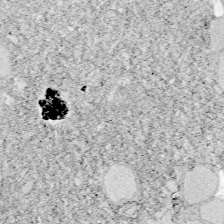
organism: Zebrafish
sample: Whole-Brain